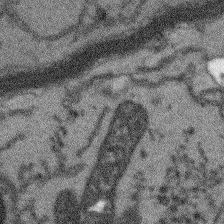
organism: Arabidopsis thaliana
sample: Root tip